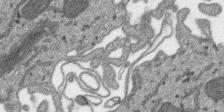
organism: Human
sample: Lung epithelial cells infected with SARS-CoV-2